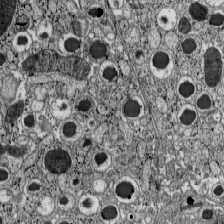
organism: C57BL Mouse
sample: Pancreatic islet